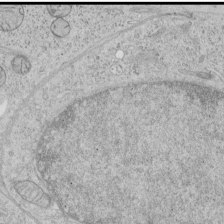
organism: Human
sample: Mitochondria in HCT116 cells